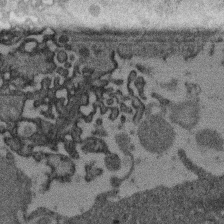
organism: Mouse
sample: Dividing mouse embryo 1 cell stage